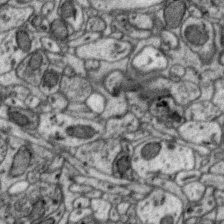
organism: Zebra finch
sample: Brain